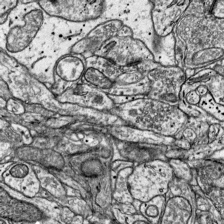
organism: Mouse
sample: Visual Cortex